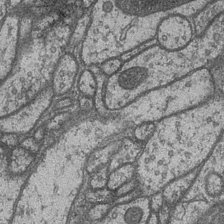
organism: Drosophila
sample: Optic medulla